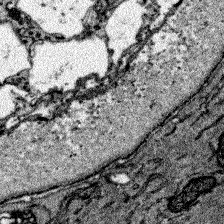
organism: Zebrafish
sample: Larval olfactory bulb